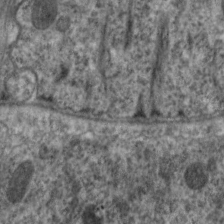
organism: C. elegans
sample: Pharynx